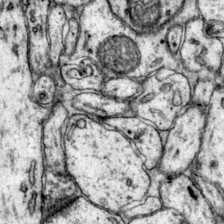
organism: Mouse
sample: Primary visual cortex